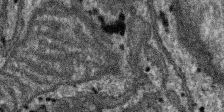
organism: Human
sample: Lung epithelial cells infected with SARS-CoV-2